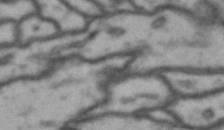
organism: Drosophila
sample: Brain